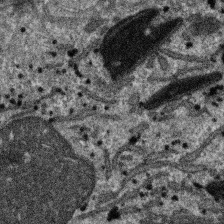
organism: Human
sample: Lung epithelial cells infected with SARS-CoV-2